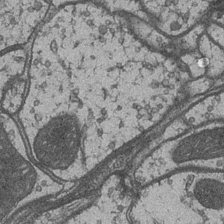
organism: Drosophila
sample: Optic medulla